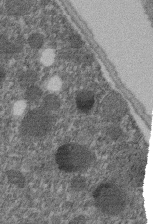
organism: C. elegans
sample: C. elegans embryo early stage